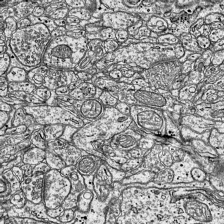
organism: Mouse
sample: Visual Cortex